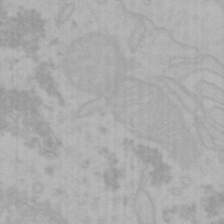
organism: Mouse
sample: Choroid plexus